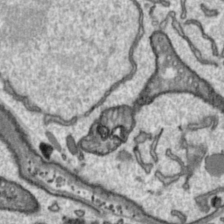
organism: Toxoplasma gondii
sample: Parasites in a vacuole inside a host cell